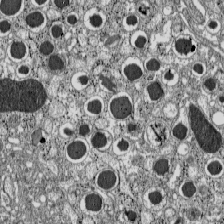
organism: C57BL Mouse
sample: Pancreatic islet